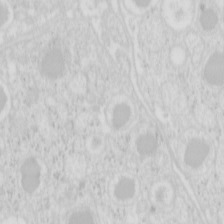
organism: Mouse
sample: Pancreas